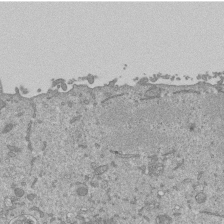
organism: Mouse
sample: ED-1 cell nuclei; centrioles